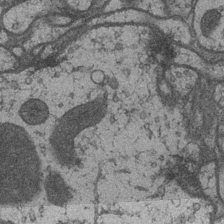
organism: Drosophila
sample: Optic medulla